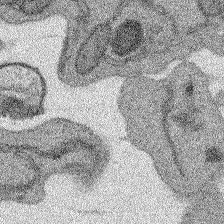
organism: Human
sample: HeLa cells